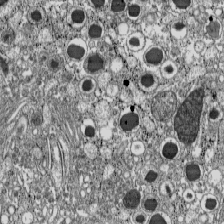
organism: C57BL Mouse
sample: Pancreatic islet